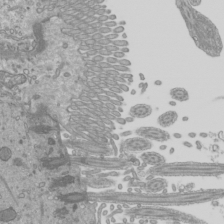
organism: Mouse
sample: Cilia; mouse epididymis